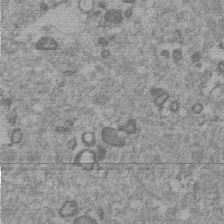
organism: Mouse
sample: Dividing mouse embryo 1 cell stage